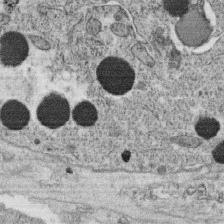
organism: C. elegans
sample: C. elegans oocyte; sperm cells